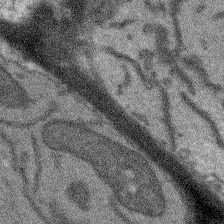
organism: Arabidopsis thaliana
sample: Root tip